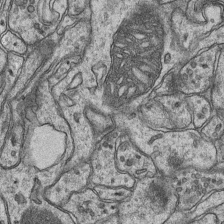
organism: Mouse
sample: CA1 Hippocampus